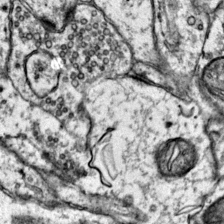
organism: Mouse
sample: Primary visual cortex